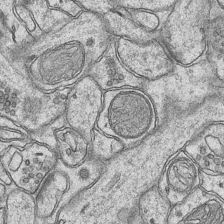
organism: Mouse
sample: CA1 Hippocampus